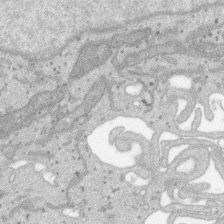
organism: Human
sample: Lung epithelial cells infected with SARS-CoV-2